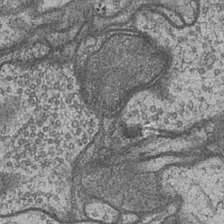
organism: Drosophila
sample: Optic medulla